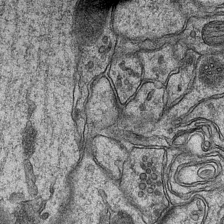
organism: Mouse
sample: CA1 Hippocampus